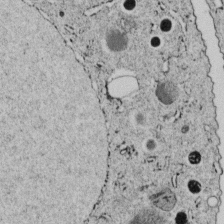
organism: C. elegans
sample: C. elegans embryo early stage